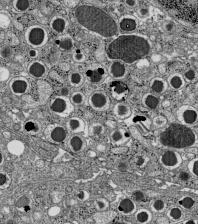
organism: C57BL Mouse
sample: Pancreatic islet